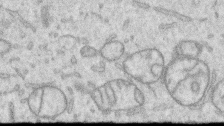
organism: Human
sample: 1205lu cells